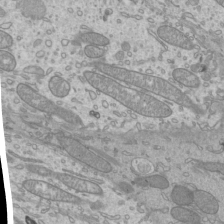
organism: Mouse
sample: Cilia; mouse epididymis